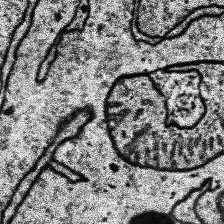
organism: Human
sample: Temporal Lobe